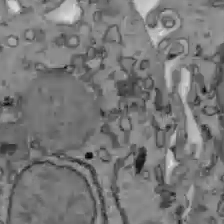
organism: C57BL Mouse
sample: Liver